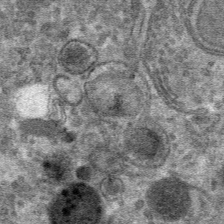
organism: Mouse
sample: Mouse hepatocytes